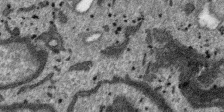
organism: Human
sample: Lung epithelial cells, uninfected (mock) control